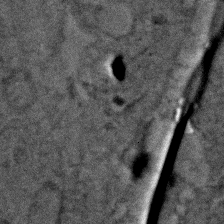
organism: Zebrafish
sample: Zebrafish embryo